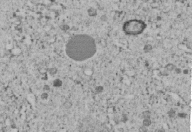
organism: C. elegans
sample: C. elegans embryo early stage